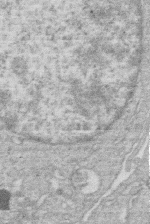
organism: Human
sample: Macrophage cells